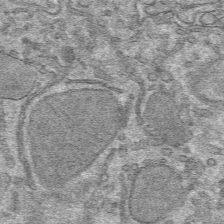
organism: Mouse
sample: Mouse hepatocytes